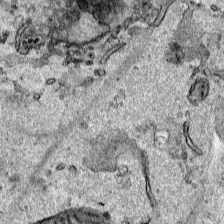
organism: Human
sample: Mitochondria in HCT116 cells